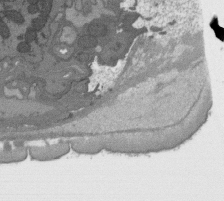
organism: C. elegans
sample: AFD neurons C. elegans